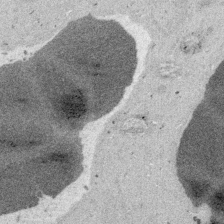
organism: Embia sp.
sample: Silk gland